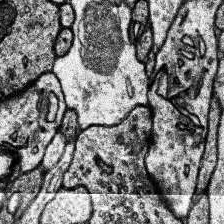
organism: Human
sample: Temporal Lobe